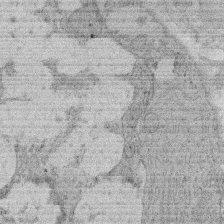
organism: Rat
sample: Salivary granule